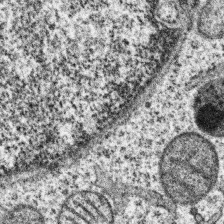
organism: Human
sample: HeLa cells